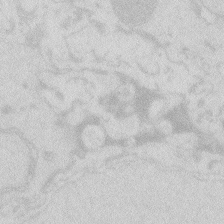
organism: Zebrafish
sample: Macrophage